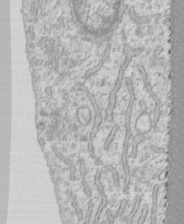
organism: Human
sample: CRL-1474